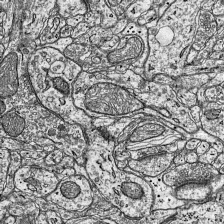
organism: Mouse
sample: Visual Cortex